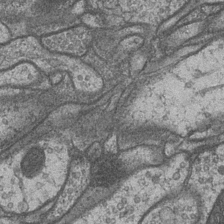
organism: Drosophila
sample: Optic medulla